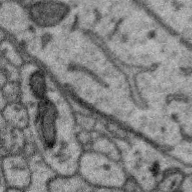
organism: Zebra finch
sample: Brain